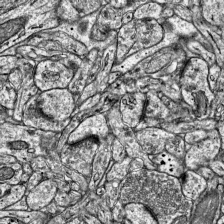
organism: Mouse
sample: Visual Cortex